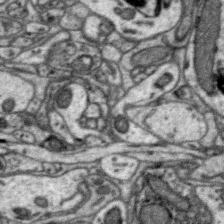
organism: Zebra finch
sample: Brain